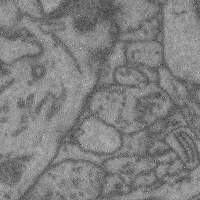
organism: Mouse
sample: Cerebral cortex